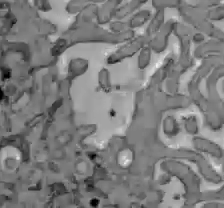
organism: C57BL Mouse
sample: Liver